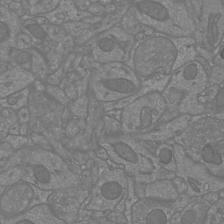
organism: Mouse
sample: Cortical neurons